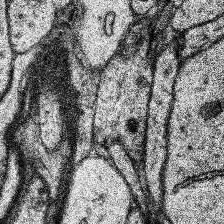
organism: Human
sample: Temporal Lobe